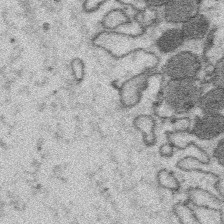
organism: Platynereis dumerilii